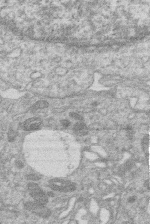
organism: Human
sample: Macrophage cells